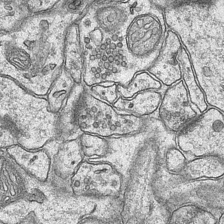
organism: Mouse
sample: CA1 Hippocampus